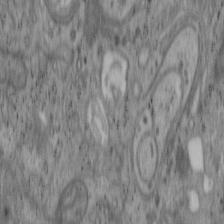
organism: Human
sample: HeLa cells